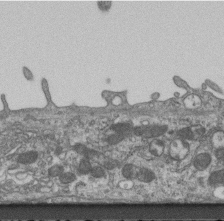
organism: Mouse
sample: Centriole in ependymal cells